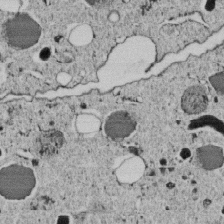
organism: C. elegans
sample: C. elegans embryo early stage